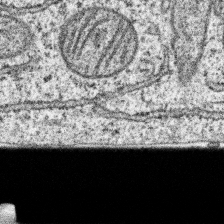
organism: Human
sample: HeLa cells